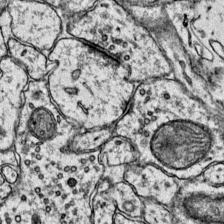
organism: Mouse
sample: Primary visual cortex